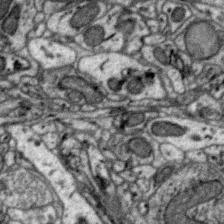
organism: Zebra finch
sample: Brain